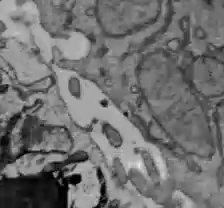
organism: C57BL Mouse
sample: Liver